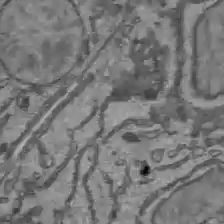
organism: C57BL Mouse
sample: Liver